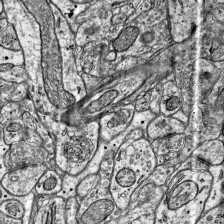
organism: Mouse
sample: Visual Cortex